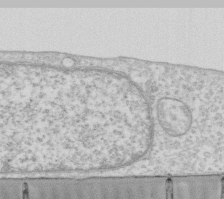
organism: Human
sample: Fibroblast cells